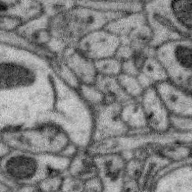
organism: Zebra finch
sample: Brain